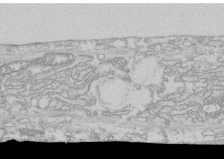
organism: Human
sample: CRL-1474